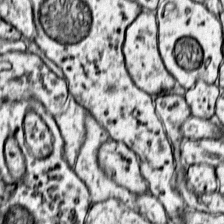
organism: Mouse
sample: Primary visual cortex